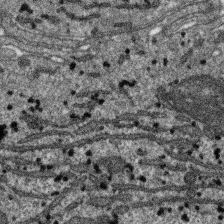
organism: Human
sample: Lung epithelial cells infected with SARS-CoV-2